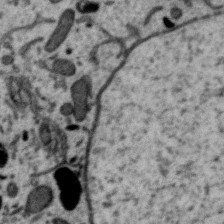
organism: Zebra finch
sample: Brain